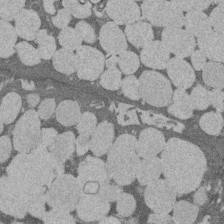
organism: Rat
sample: Salivary granule